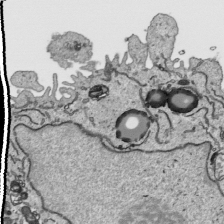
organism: Human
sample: Mitochondria in HCT116 cells